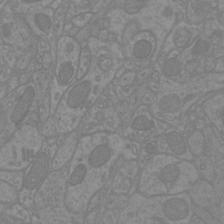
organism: Mouse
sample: Cortical neurons